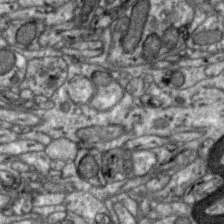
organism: Zebra finch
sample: Brain